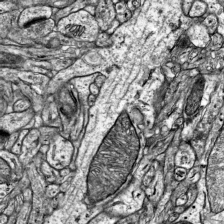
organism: Mouse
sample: Visual Cortex